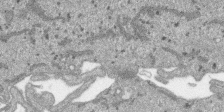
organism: Human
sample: Lung epithelial cells infected with SARS-CoV-2